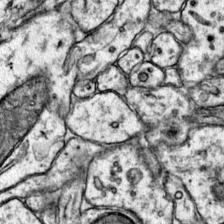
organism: Mouse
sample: Primary visual cortex